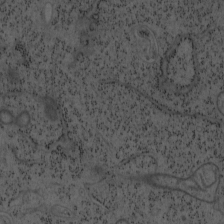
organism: Mouse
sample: OT-I killer T cells with ID8 ovarian cancer cells